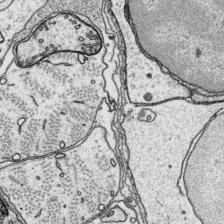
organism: Platynereis dumerilii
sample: Parapodia